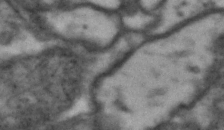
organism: Drosophila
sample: Brain